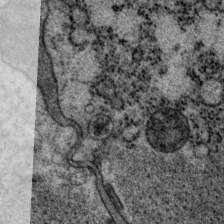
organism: P. pacificus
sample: Pharynx